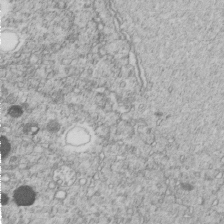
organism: C. elegans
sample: C. elegans embryo early stage